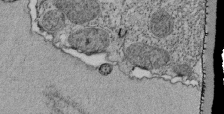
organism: Tetrahymena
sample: Cilia in tetrahymena